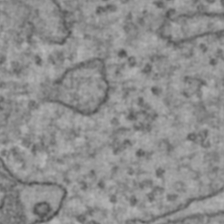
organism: Human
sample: Blood